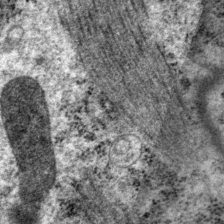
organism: P. pacificus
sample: Pharynx